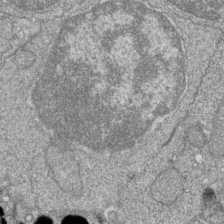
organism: Zebrafish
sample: Cilia; retinal pigment epithelium